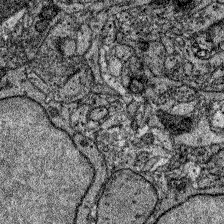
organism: Zebrafish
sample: Larval olfactory bulb